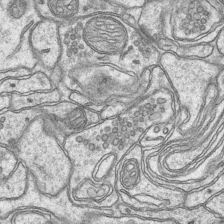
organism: Mouse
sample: CA1 Hippocampus